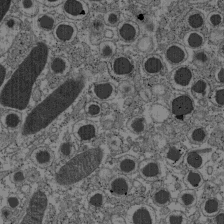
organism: C57BL Mouse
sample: Pancreatic islet